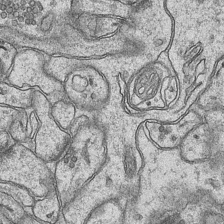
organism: Mouse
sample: CA1 Hippocampus